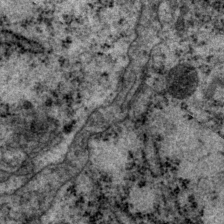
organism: P. pacificus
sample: Pharynx